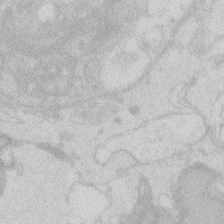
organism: Zebrafish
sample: Macrophage